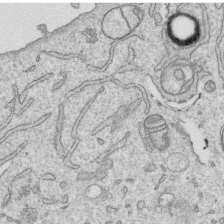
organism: Human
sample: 1205lu cells